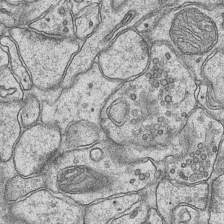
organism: Mouse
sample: CA1 Hippocampus